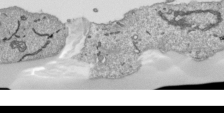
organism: Human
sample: Mitochondria in HCT116 cells